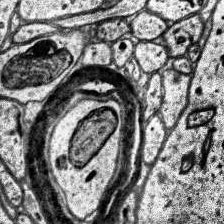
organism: Human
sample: Temporal Lobe